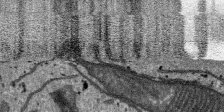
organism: Human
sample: Lung epithelial cells, uninfected (mock) control